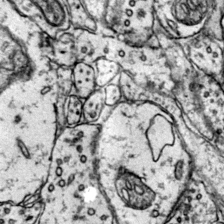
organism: Mouse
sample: Primary visual cortex